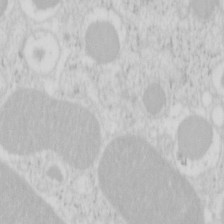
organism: Mouse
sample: Pancreas